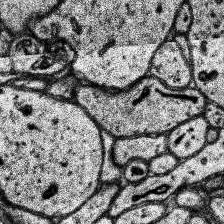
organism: Human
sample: Temporal Lobe